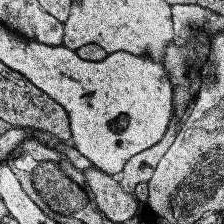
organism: Human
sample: Temporal Lobe